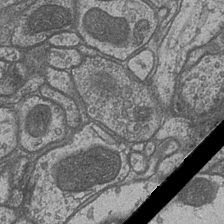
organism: Drosophila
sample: Optic medulla